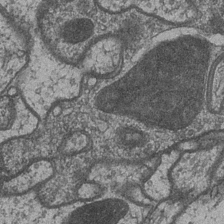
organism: Drosophila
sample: Optic medulla